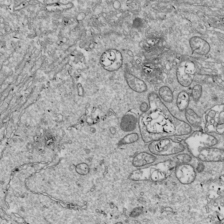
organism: Drosophila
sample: Cell division; meiosis; drosophila spermatocytes